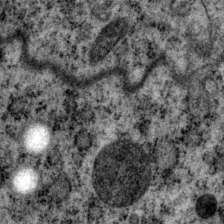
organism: P. pacificus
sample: Pharynx